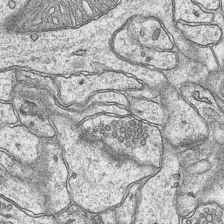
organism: Mouse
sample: CA1 Hippocampus